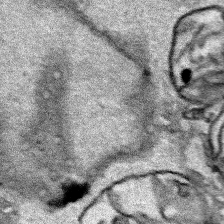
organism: Human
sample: Mitochondria in HCT116 cells